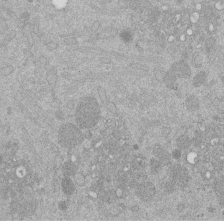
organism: Mouse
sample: Dividing mouse embryo 1 cell stage